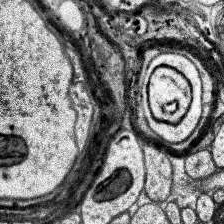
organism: Human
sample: Temporal Lobe